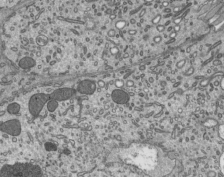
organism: Mouse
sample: Mouse epididymis efferent ductule cilia